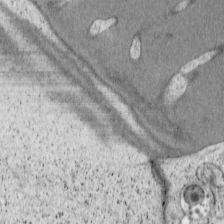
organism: African green monkey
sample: COS-7 cells